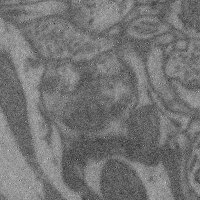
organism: Mouse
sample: Cerebral cortex